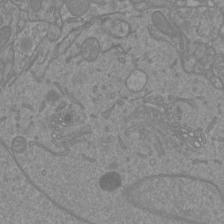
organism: Mouse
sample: Cortical neurons